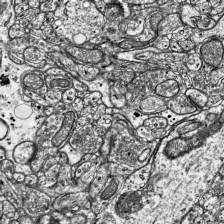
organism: Mouse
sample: Visual Cortex